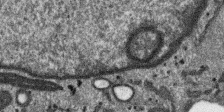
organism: Human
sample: Lung epithelial cells infected with SARS-CoV-2